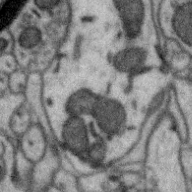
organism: Zebra finch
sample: Brain